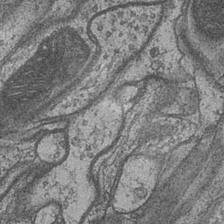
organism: Drosophila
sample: Optic medulla